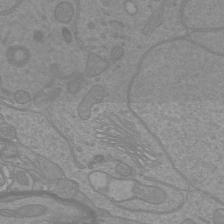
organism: Mouse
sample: Cortical neurons